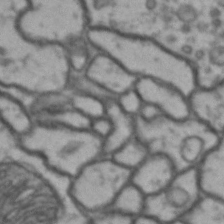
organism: Drosophila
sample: Brain